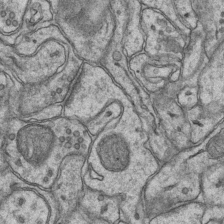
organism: Mouse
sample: CA1 Hippocampus